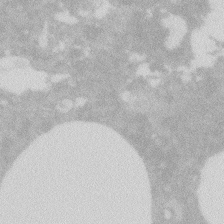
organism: Zebrafish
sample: Macrophage